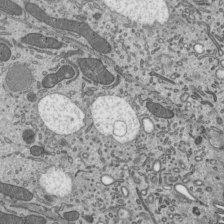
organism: Mouse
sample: Mouse epididymis efferent ductule cilia